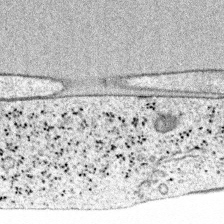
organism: Human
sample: HeLa cells